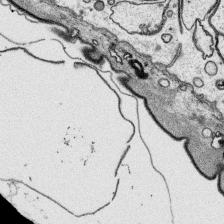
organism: Platynereis dumerilii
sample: Parapodia